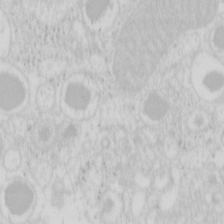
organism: Mouse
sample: Pancreas